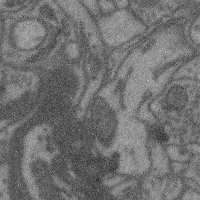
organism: Mouse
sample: Cerebral cortex